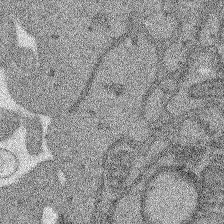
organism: Human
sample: HeLa cells